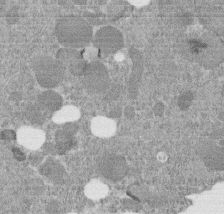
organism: C. elegans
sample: C. elegans embryo early stage